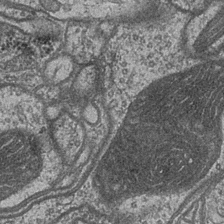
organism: Drosophila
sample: Optic medulla